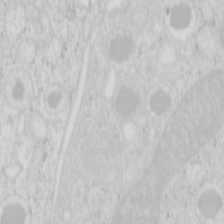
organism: Mouse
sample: Pancreas